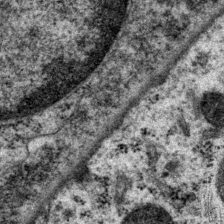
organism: P. pacificus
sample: Pharynx